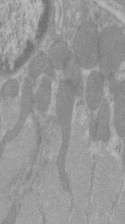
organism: C57BL Mouse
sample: Tibialis anterior muscle cell